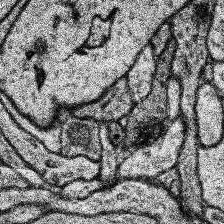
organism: Human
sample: Temporal Lobe